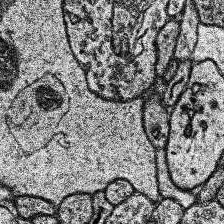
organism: Human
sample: Temporal Lobe